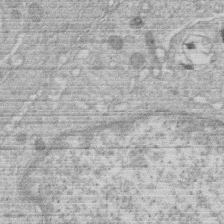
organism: Human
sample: Macrophage cells